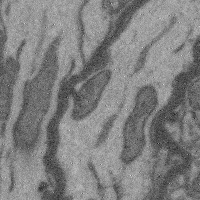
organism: Mouse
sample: Cerebral cortex